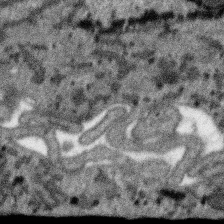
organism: Human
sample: Lung epithelial cells infected with SARS-CoV-2